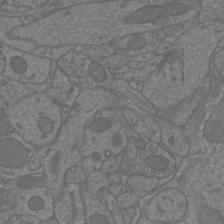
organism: Mouse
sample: Cortical neurons